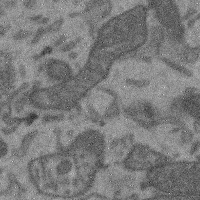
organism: Mouse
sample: Cerebral cortex